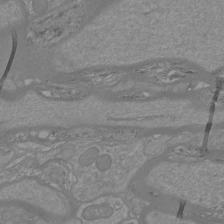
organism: Mouse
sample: Cortical neurons